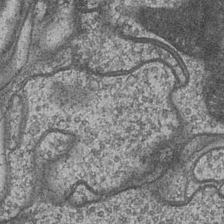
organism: Drosophila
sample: Optic medulla